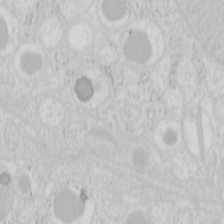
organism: Mouse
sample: Pancreas